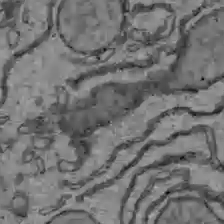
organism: C57BL Mouse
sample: Liver